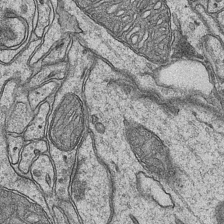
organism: Mouse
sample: CA1 Hippocampus